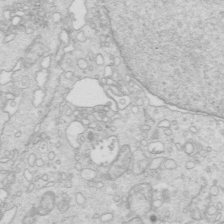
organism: Mouse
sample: Multiciliated cells